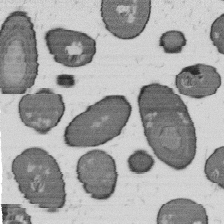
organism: B. subtilis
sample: Bacterial spore